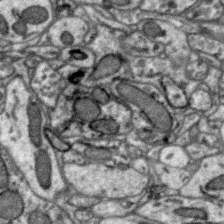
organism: Zebra finch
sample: Brain